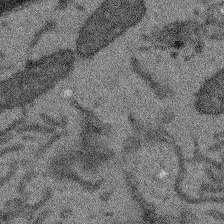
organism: Arabidopsis thaliana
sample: Root tip